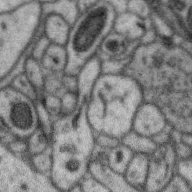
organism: Zebra finch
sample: Brain